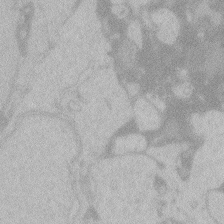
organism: Zebrafish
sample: Macrophage infected with Toxoplasma gondii